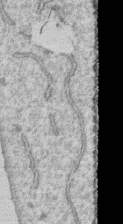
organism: Human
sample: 1205lu cells